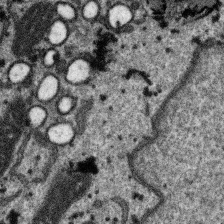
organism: Human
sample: Lung epithelial cells infected with SARS-CoV-2